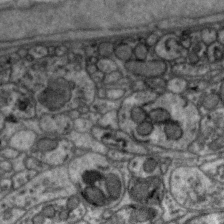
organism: Zebra finch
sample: Brain